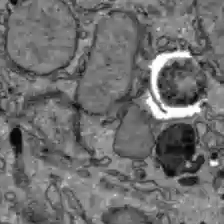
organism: C57BL Mouse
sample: Liver